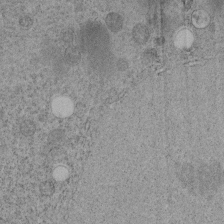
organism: C. elegans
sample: C. elegans embryo early stage